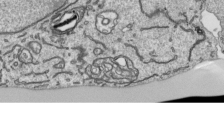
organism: Human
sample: Mitochondria in HCT116 cells